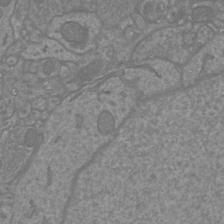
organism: Mouse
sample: Cortical neurons